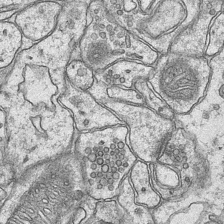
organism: Mouse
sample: CA1 Hippocampus